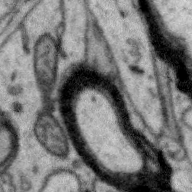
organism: Zebra finch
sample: Brain